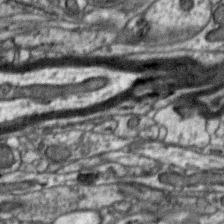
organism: Zebra finch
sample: Brain